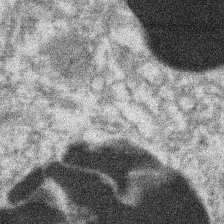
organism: Xenopus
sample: Cilia; centrioles in frog embryo cells